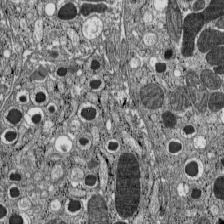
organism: C57BL Mouse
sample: Pancreatic islet